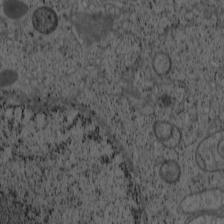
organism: African green monkey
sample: COS-7 cells